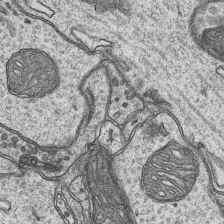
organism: Mouse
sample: CA1 Hippocampus